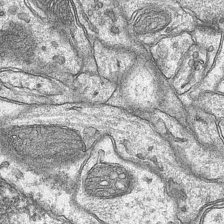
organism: Mouse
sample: CA1 Hippocampus